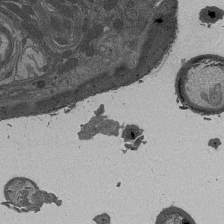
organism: Drosophila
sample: Antenna